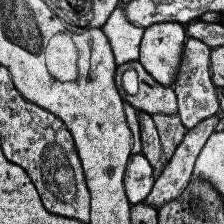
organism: Human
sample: Temporal Lobe